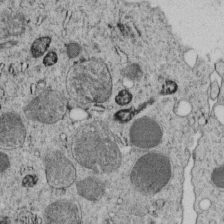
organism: C. elegans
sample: C. elegans embryo early stage